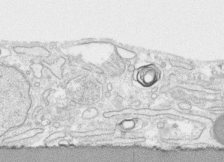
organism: Human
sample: CRL-1474